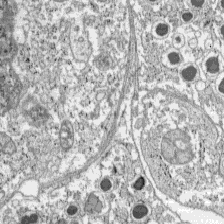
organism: C57BL Mouse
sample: Pancreatic islet